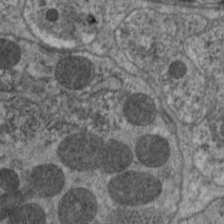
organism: C. elegans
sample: Pharynx